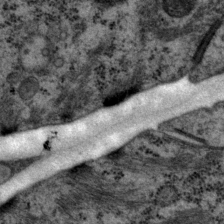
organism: P. pacificus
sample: Pharynx